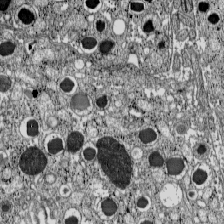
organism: C57BL Mouse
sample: Pancreatic islet